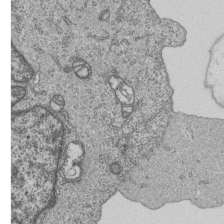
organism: Human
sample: MDA-MB-231 cells